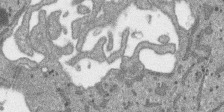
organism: Human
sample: Lung epithelial cells infected with SARS-CoV-2